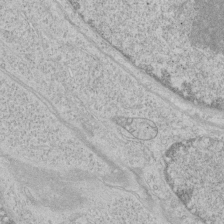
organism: Human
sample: Mitochondria in HCT116 cells